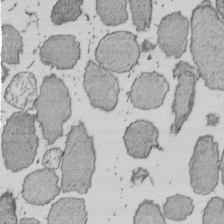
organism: E. coli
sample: Bacterial nucleoid